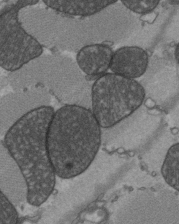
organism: C57BL Mouse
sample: Heart